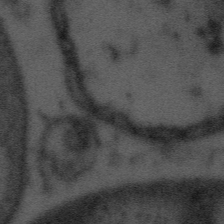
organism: Tuwongella immobilis